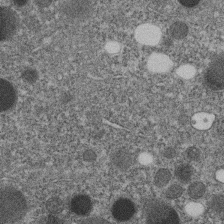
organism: C. elegans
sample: C. elegans embryo early stage